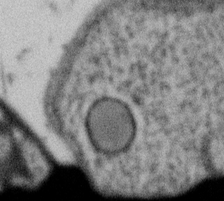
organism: Gemmata obscuriglobus